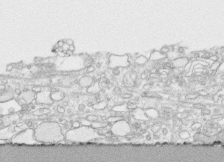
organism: Human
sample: CRL-1474